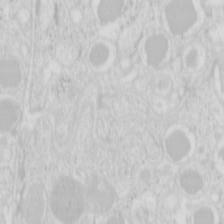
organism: Mouse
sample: Pancreas